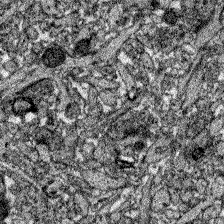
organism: Zebrafish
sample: Larval olfactory bulb